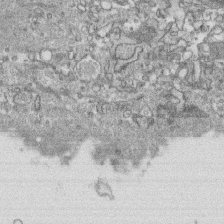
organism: Human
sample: CRL-1474